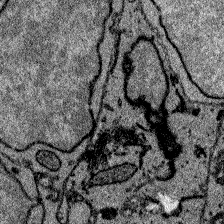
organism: Zebrafish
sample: Larval olfactory bulb